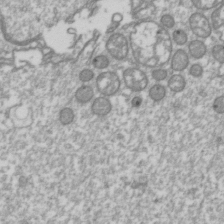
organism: Drosophila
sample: Cell division; meiosis; drosophila spermatocytes